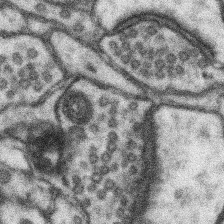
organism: Mouse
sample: Somatosensory cortex neuropil